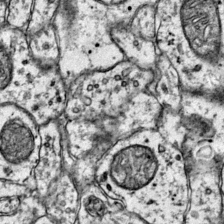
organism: Mouse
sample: Primary visual cortex